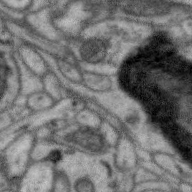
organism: Zebra finch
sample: Brain